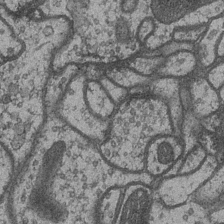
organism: Drosophila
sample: Optic medulla